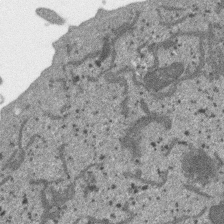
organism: Human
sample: Lung epithelial cells infected with SARS-CoV-2